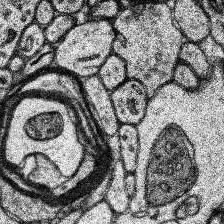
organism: Human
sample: Temporal Lobe